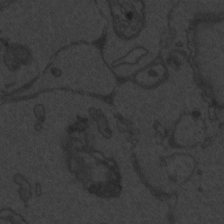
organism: Zebrafish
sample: Macrophage infected with Toxoplasma gondii